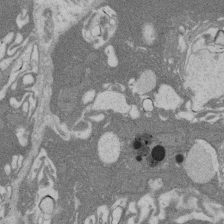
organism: Rat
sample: Salivary granule